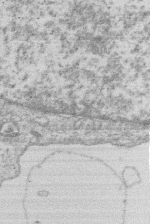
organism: Human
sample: Macrophage cells